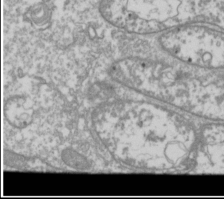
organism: Drosophila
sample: Cell division; meiosis; drosophila spermatocytes